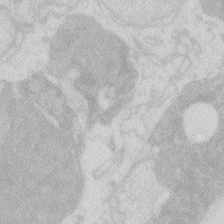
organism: Zebrafish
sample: Macrophage